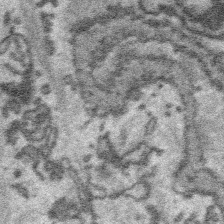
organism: Platynereis dumerilii